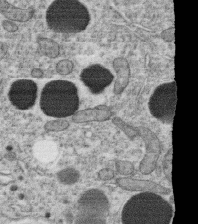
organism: C. elegans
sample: C. elegans oocyte; sperm cells